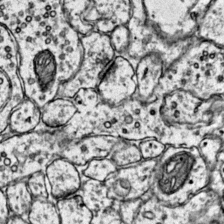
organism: Mouse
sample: Primary visual cortex